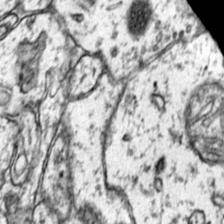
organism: Mouse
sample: Primary visual cortex